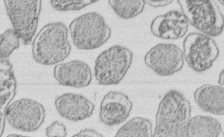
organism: E. coli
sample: Bacterial nucleoid